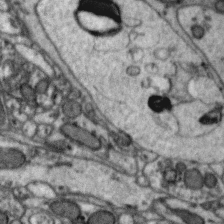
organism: Zebra finch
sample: Brain